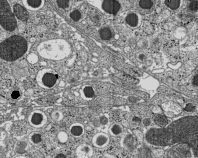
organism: C57BL Mouse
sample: Pancreatic islet